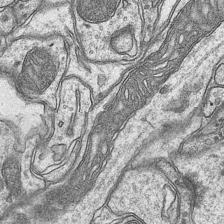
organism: Mouse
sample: CA1 Hippocampus